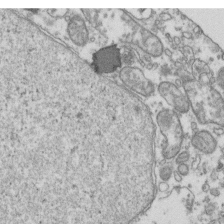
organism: Human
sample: Activated Jurkat CD4+ T cells